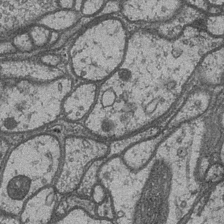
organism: Drosophila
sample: Optic medulla